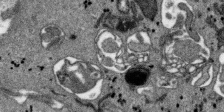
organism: Human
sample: Lung epithelial cells, uninfected (mock) control